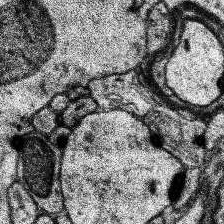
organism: Human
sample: Temporal Lobe